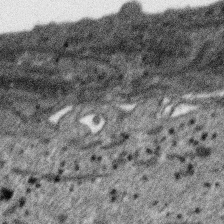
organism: Human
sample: Lung epithelial cells infected with SARS-CoV-2